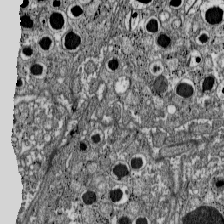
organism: C57BL Mouse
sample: Pancreatic islet